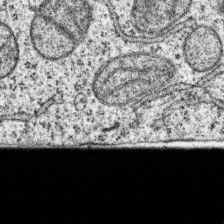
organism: Human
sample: HeLa cells